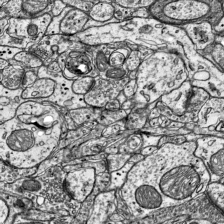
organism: Mouse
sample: Visual Cortex